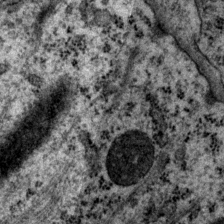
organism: P. pacificus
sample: Pharynx